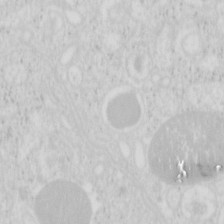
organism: Mouse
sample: Pancreas